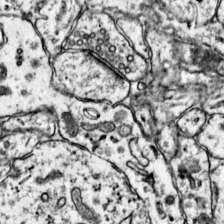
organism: Mouse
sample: Primary visual cortex